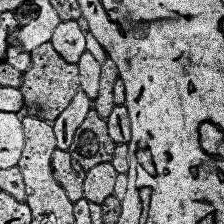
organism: Human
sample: Temporal Lobe